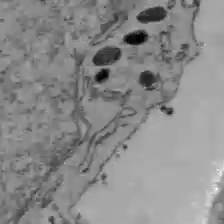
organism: C57BL Mouse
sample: Liver